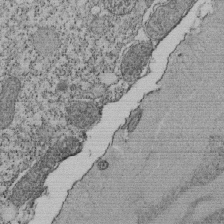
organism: Tetrahymena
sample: Cilia in tetrahymena